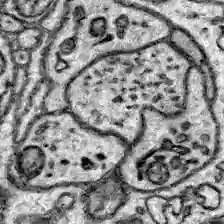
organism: Zebrafish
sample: Brain